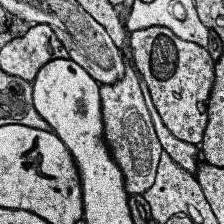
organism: Human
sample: Temporal Lobe